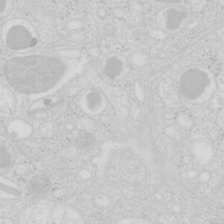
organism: Mouse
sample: Pancreas